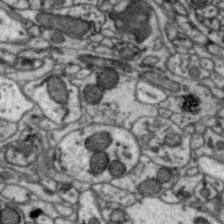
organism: Zebra finch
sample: Brain